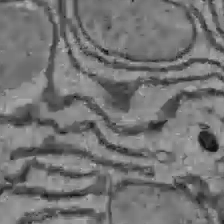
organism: C57BL Mouse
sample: Liver